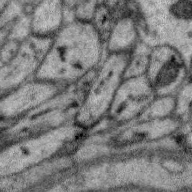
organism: Zebra finch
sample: Brain